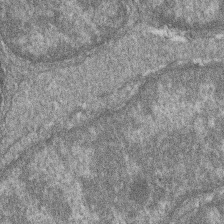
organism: Zebrafish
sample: Cilia; retinal pigment epithelium